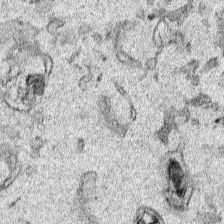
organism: Human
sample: Mitochondria in HCT116 cells